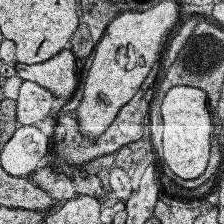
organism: Human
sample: Temporal Lobe